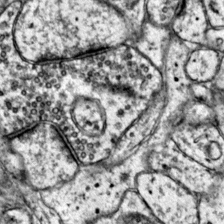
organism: Mouse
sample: Primary visual cortex